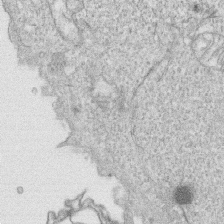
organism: Human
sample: HeLa cell HIV synapse